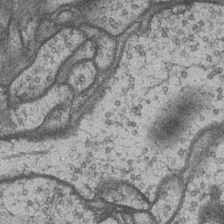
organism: Drosophila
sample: Optic medulla